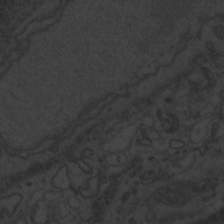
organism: Zebrafish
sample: Macrophage infected with Toxoplasma gondii